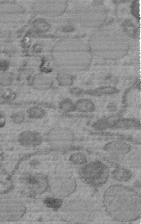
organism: C. elegans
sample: C. elegans embryo early stage